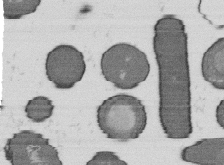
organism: B. subtilis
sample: Bacterial spore